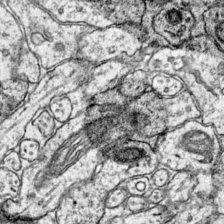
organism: Mouse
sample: Primary visual cortex